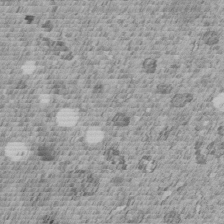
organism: C. elegans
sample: C. elegans embryo early stage